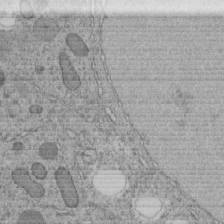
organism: C. elegans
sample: C. elegans embryo early stage